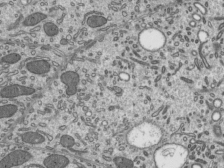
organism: Mouse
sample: Mouse epididymis efferent ductule cilia